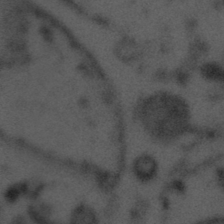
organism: Tuwongella immobilis